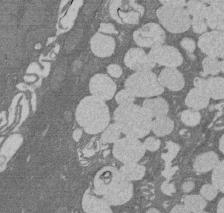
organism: Rat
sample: Salivary granule